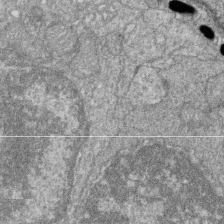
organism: Zebrafish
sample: Cilia; retinal pigment epithelium